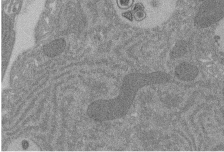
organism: Rat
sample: Salivary granule